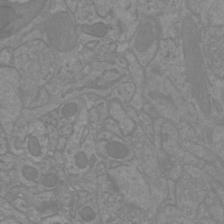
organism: Mouse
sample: Cortical neurons